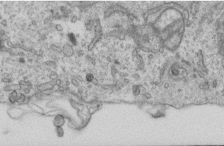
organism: Human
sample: Centriole in RPE cells